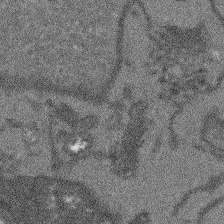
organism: Arabidopsis thaliana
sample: Root tip